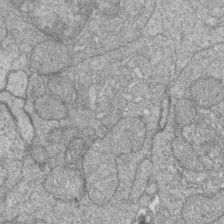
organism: Zebrafish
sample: Cilia; retinal pigment epithelium